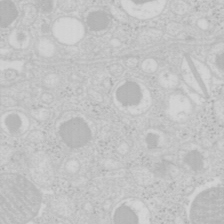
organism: Mouse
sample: Pancreas